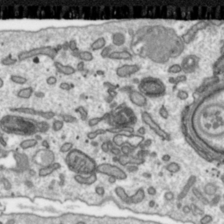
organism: Toxoplasma gondii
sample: Parasites in a vacuole inside a host cell